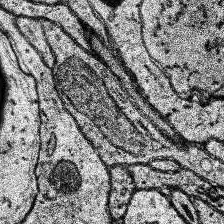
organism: Human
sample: Temporal Lobe